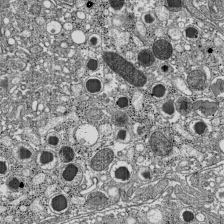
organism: C57BL Mouse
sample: Pancreatic islet